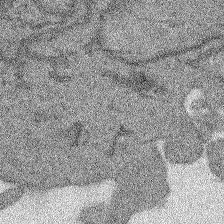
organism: Human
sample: HeLa cells